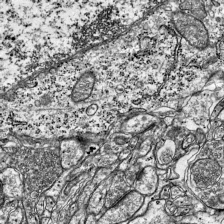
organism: Mouse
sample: Visual Cortex